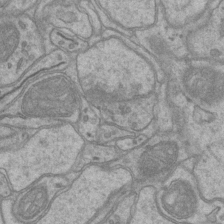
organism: Mouse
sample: CA1 Hippocampus